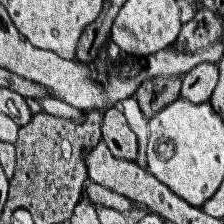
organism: Human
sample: Temporal Lobe